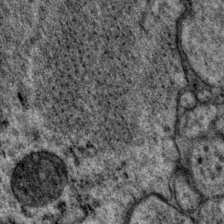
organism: P. pacificus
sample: Pharynx